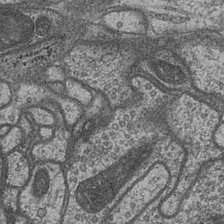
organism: Drosophila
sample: Optic medulla